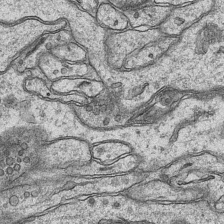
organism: Mouse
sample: CA1 Hippocampus